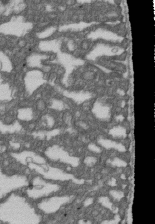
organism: Drosophila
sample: Nephrocyte